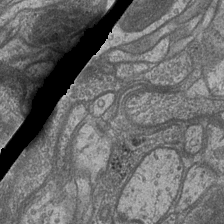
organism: Drosophila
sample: Optic medulla